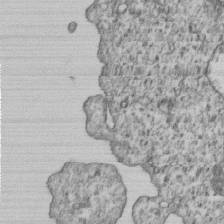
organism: Human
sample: MDA-MB-231 cells